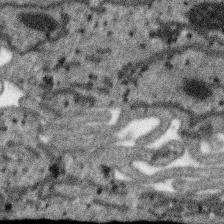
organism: Human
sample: Lung epithelial cells infected with SARS-CoV-2